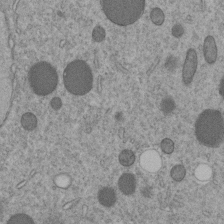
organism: C. elegans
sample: C. elegans embryo early stage